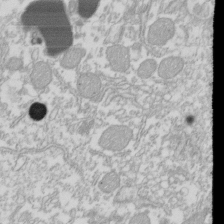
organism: Xenopus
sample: Cilia; centrioles in frog embryo cells